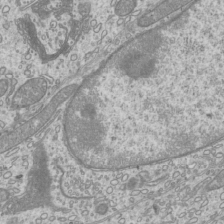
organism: Mouse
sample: Cilia; mouse epididymis